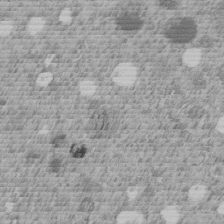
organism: C. elegans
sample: C. elegans embryo early stage